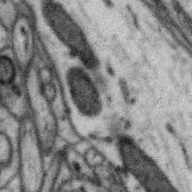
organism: Zebra finch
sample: Brain